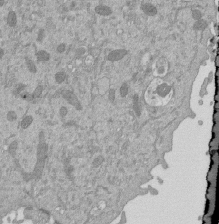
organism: Mouse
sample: ED-1 cell nuclei; centrioles